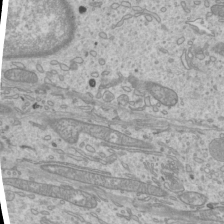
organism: Mouse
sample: Cilia; mouse epididymis